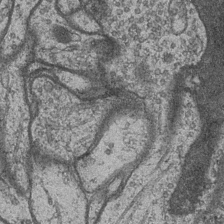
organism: Drosophila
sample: Optic medulla